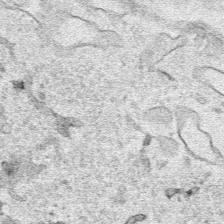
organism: Human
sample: Mitochondria in HCT116 cells